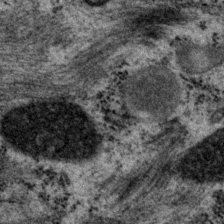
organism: P. pacificus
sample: Pharynx